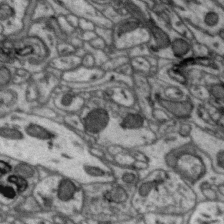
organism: Zebra finch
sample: Brain